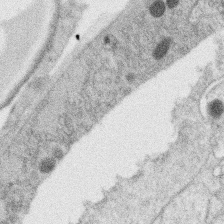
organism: C. elegans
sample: C. elegans oocyte; sperm cells